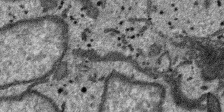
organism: Human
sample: Lung epithelial cells, uninfected (mock) control